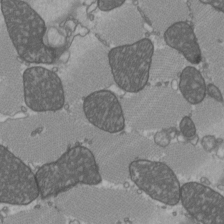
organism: C57BL Mouse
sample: Heart